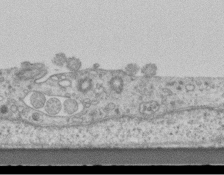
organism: Mouse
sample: Centriole in ependymal cells